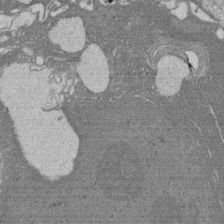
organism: Rat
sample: Salivary granule